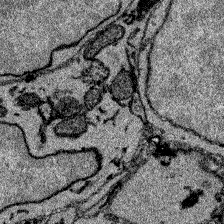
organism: Zebrafish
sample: Larval olfactory bulb